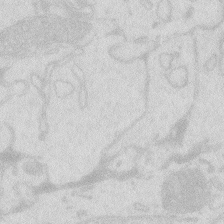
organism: Zebrafish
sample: Macrophage